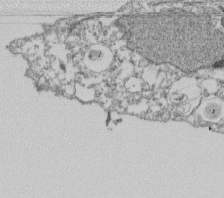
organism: Dictyostelium discoideum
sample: Dictyostelium multivesicular bodies